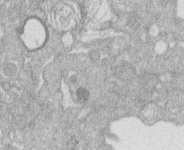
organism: Human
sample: Macrophage cells